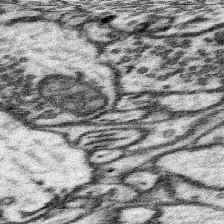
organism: Mouse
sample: Somatosensory cortex neuropil